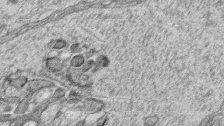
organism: Zebrafish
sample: synaptic ribbons in rod cells and cone cells